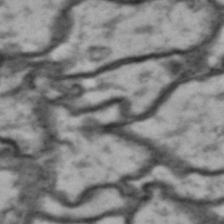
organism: Drosophila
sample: Brain